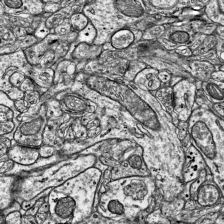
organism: Mouse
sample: Visual Cortex